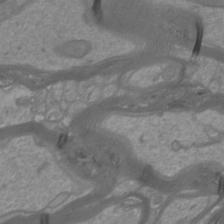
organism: Mouse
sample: Cortical neurons